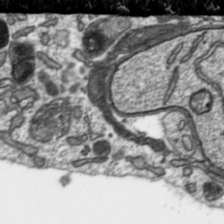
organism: Toxoplasma gondii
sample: Parasites in a vacuole inside a host cell